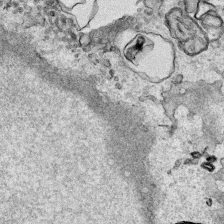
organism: Human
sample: Mitochondria in HCT116 cells